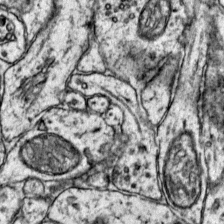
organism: Mouse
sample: Primary visual cortex